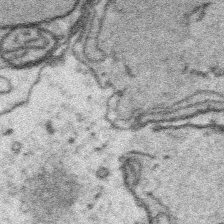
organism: Platynereis dumerilii